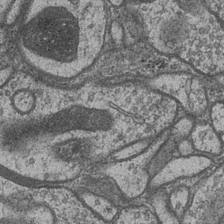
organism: Drosophila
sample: Optic medulla